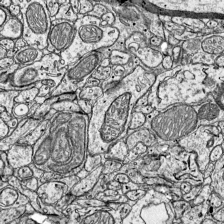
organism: Mouse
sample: Visual Cortex